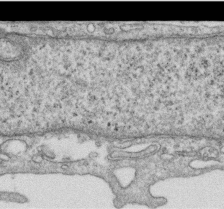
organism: Human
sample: Centriole in RPE cells